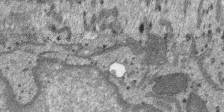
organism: Human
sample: Lung epithelial cells infected with SARS-CoV-2